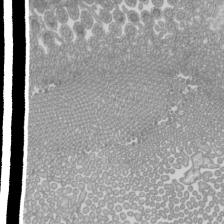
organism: Mouse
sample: Cilia; mouse epididymis